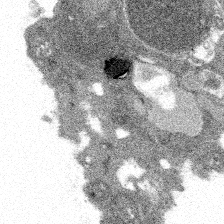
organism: Spongilla lacustris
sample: Multiple